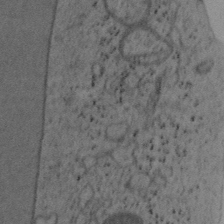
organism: Human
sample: HeLa cells